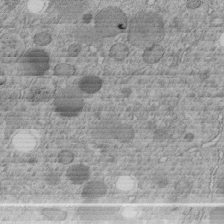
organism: C. elegans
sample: C. elegans embryo early stage